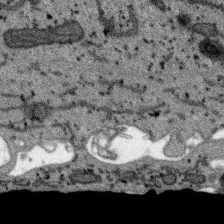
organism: Human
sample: Lung epithelial cells, uninfected (mock) control